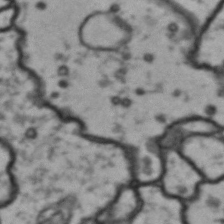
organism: Drosophila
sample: Brain